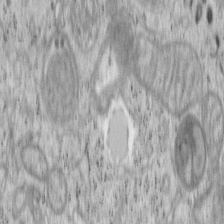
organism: Human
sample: HeLa cells